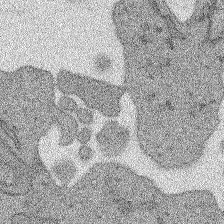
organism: Human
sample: HeLa cells